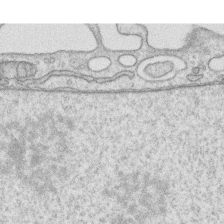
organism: Human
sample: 1205lu cells